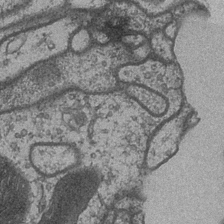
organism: Drosophila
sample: Optic medulla